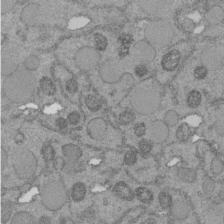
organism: C. elegans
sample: C. elegans embryo early stage